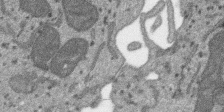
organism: Human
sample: Lung epithelial cells infected with SARS-CoV-2